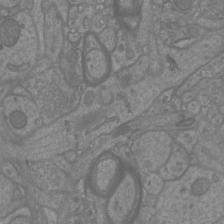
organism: Mouse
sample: Cortical neurons